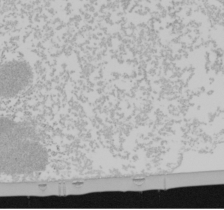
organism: Mouse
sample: Cancer cell death in ED-1 cells